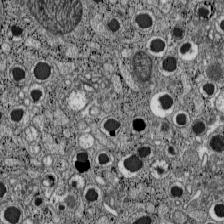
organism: C57BL Mouse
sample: Pancreatic islet